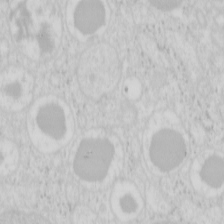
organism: Mouse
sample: Pancreas